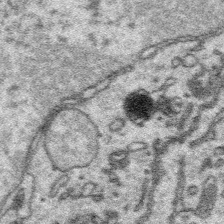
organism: Platynereis dumerilii